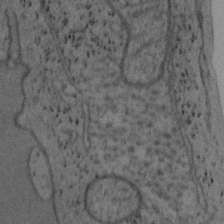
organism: Human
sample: HeLa cells